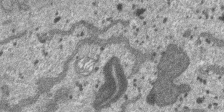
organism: Human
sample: Lung epithelial cells infected with SARS-CoV-2